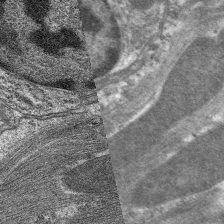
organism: C. elegans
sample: Pharynx